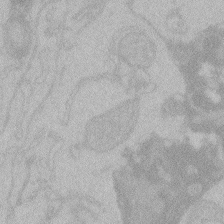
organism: Zebrafish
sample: Macrophage infected with Toxoplasma gondii